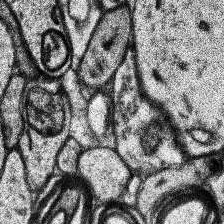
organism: Human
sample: Temporal Lobe